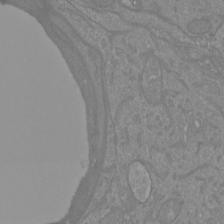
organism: Mouse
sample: Cortical neurons